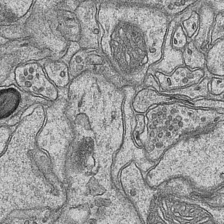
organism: Mouse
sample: CA1 Hippocampus